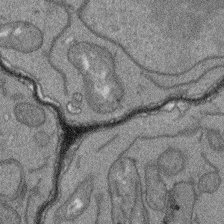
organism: Arabidopsis thaliana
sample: Root tip